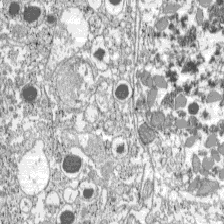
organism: C57BL Mouse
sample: Pancreatic islet